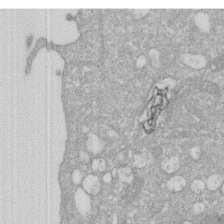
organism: Human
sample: HIV infected U937 cells